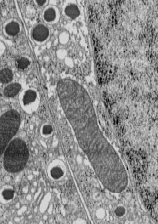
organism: C57BL Mouse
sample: Pancreatic islet